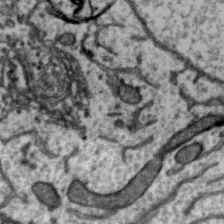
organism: Zebra finch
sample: Brain